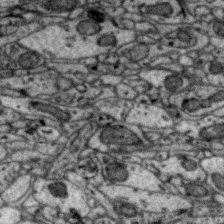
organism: Zebra finch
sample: Brain